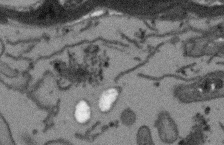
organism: Arabidopsis thaliana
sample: Root tip